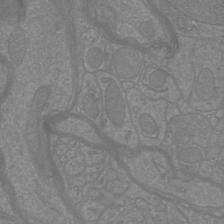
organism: Mouse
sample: Cortical neurons